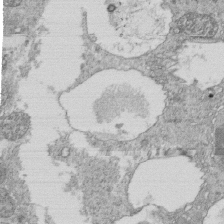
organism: Tetrahymena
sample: Cilia in tetrahymena